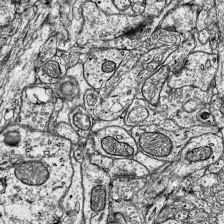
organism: Mouse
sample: Visual Cortex